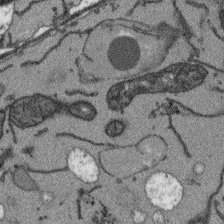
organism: Arabidopsis thaliana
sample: Root tip